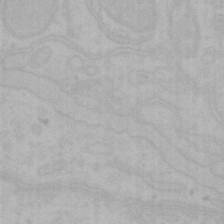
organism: Mouse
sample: Choroid plexus